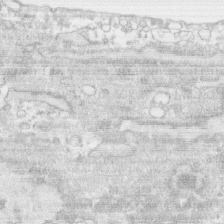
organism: Human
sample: CRL-1474